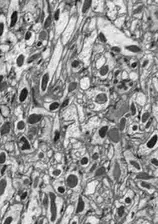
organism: Drosophila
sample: Optic lobe